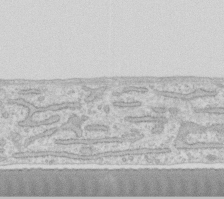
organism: Human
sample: Fibroblast cells